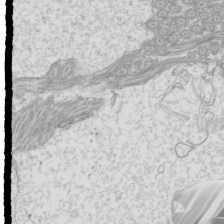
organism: Mouse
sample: Cilia; mouse epididymis